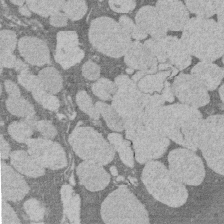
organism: Rat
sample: Salivary granule